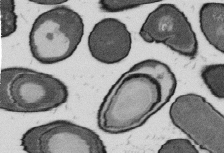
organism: B. subtilis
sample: Bacterial spore